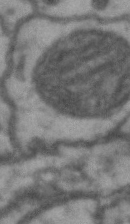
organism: Drosophila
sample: Brain